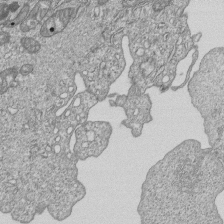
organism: Human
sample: MDA-MB-231 cells